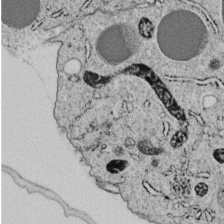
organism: C. elegans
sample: C. elegans embryo early stage